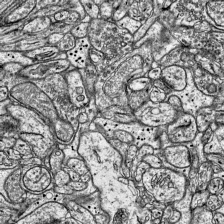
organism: Mouse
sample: Visual Cortex